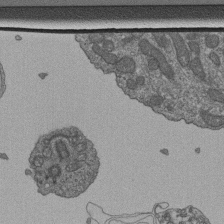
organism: Human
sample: Retinal organoid Rod and Cone cells